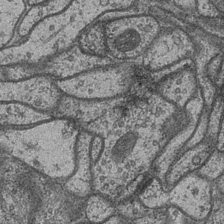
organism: Drosophila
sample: Optic medulla